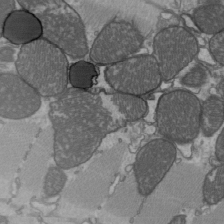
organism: C57BL Mouse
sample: Heart